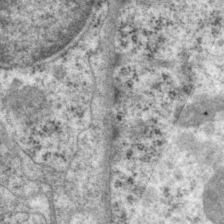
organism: P. pacificus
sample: Pharynx